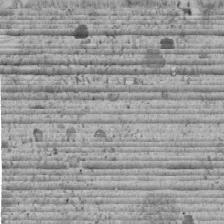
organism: C. elegans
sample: C. elegans embryo early stage